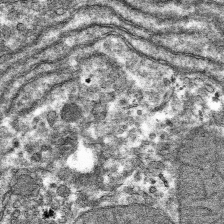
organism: Mouse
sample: Mouse hepatocytes